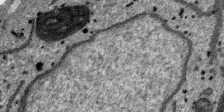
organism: Human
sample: Lung epithelial cells, uninfected (mock) control